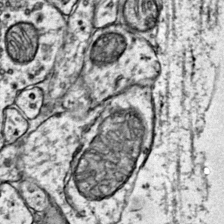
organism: Mouse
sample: Primary visual cortex